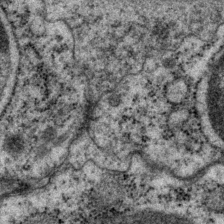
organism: P. pacificus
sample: Pharynx